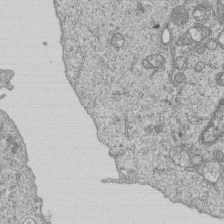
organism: Human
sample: MDA-MB-231 cells